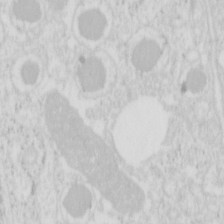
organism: Mouse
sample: Pancreas